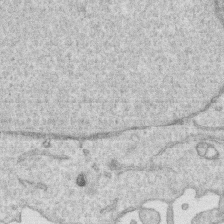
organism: Human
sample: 1205lu cells